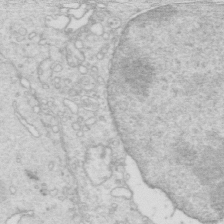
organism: Mouse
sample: Multiciliated cells